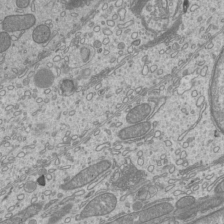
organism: Mouse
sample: Cilia; mouse epididymis